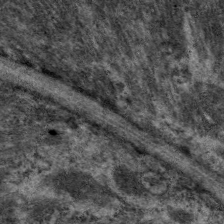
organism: C. elegans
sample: Pharynx